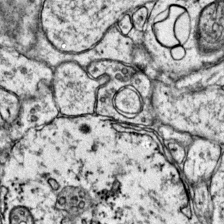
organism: Mouse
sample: Primary visual cortex